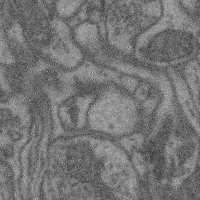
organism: Mouse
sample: Cerebral cortex